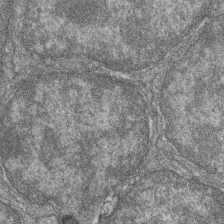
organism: Zebrafish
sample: Cilia; retinal pigment epithelium